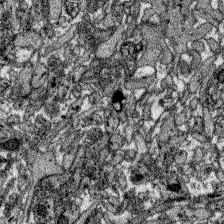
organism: Zebrafish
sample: Larval olfactory bulb